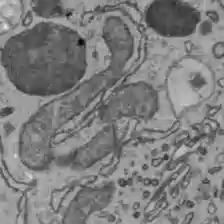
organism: C57BL Mouse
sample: Liver